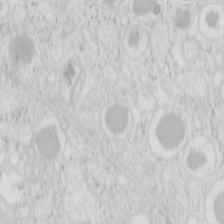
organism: Mouse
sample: Pancreas